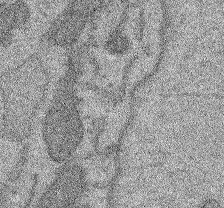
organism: Human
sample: HeLa cells